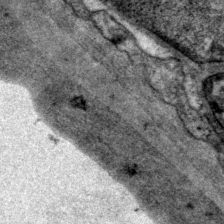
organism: P. pacificus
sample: Pharynx